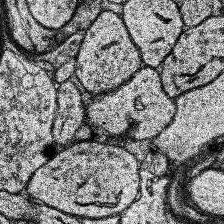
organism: Human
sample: Temporal Lobe